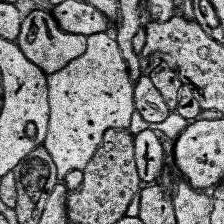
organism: Human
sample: Temporal Lobe